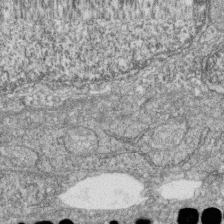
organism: Zebrafish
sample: Cilia; retinal pigment epithelium